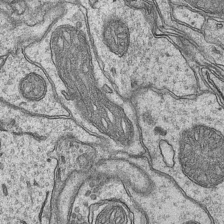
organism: Mouse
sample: CA1 Hippocampus